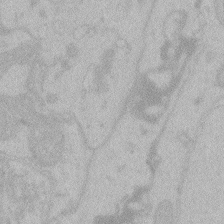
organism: Zebrafish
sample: Macrophage infected with Toxoplasma gondii